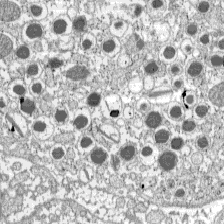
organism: C57BL Mouse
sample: Pancreatic islet